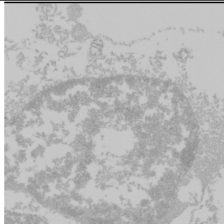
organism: Mouse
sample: Cancer cell death in ED-1 cells